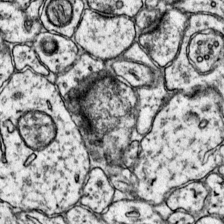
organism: Mouse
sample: Primary visual cortex